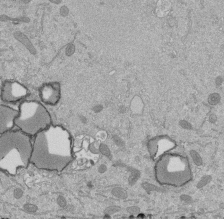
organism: Mouse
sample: ED-1 cell nuclei; centrioles